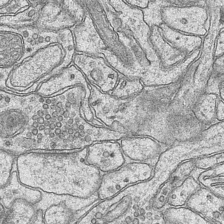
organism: Mouse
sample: CA1 Hippocampus